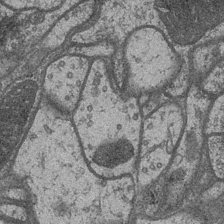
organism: Drosophila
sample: Optic medulla